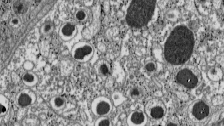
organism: C57BL Mouse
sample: Pancreatic islet